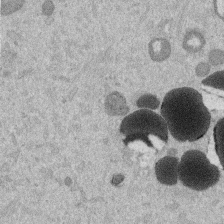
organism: Mouse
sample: Dividing mouse embryo 1 cell stage